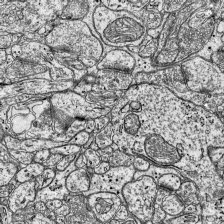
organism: Mouse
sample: Visual Cortex